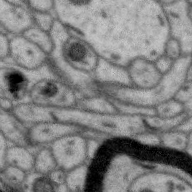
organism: Zebra finch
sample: Brain